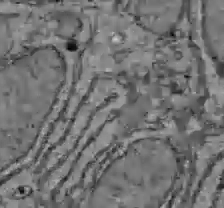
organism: C57BL Mouse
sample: Liver